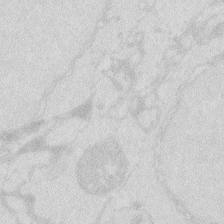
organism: Zebrafish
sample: Macrophage